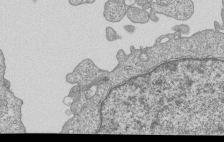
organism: Human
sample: MDA-MB-231 cells